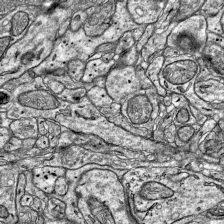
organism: Mouse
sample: Visual Cortex